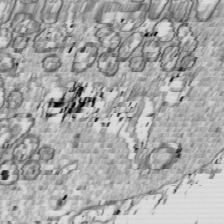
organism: Drosophila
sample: Cell division; meiosis; drosophila spermatocytes